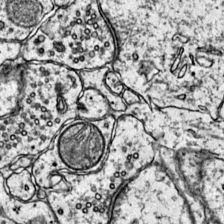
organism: Mouse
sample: Primary visual cortex